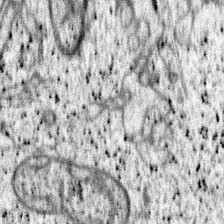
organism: Human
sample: HeLa cells